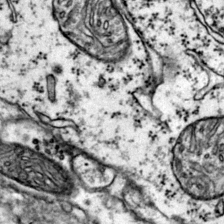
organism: Mouse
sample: Primary visual cortex